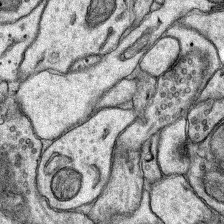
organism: Rat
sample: Hippocampus